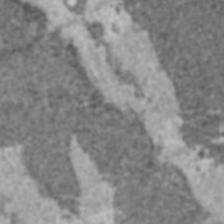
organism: C57BL Mouse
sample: Heart